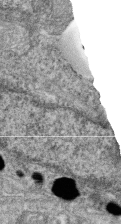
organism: Zebrafish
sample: Cilia; retinal pigment epithelium